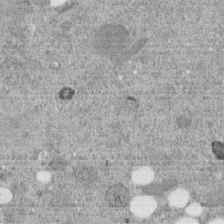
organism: C. elegans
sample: C. elegans embryo early stage